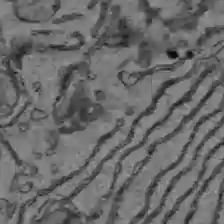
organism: C57BL Mouse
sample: Liver